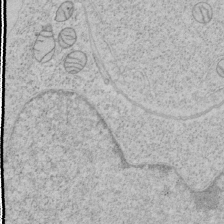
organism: Human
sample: Mitochondria in HCT116 cells